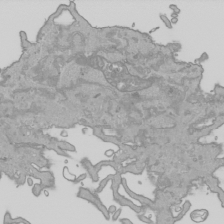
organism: Human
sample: Mitochondria in HCT116 cells